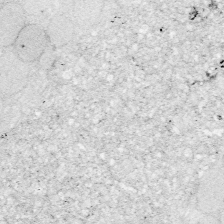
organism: Zebrafish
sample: Whole-Brain